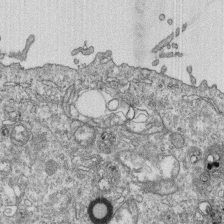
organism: Human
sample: HeLa cell HIV synapse